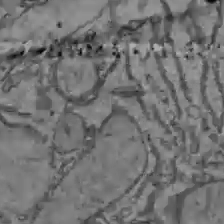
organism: C57BL Mouse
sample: Liver